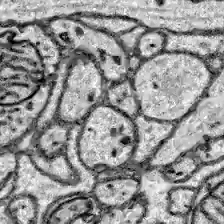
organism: Zebrafish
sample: Brain